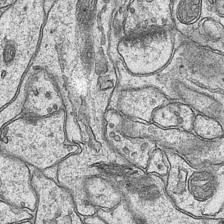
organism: Mouse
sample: CA1 Hippocampus